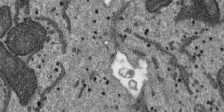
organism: Human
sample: Lung epithelial cells, uninfected (mock) control